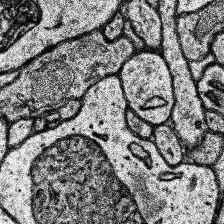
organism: Human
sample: Temporal Lobe